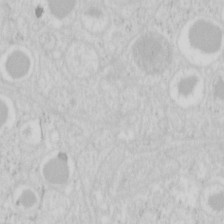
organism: Mouse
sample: Pancreas